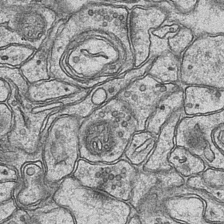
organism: Mouse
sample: CA1 Hippocampus